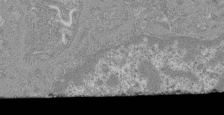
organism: Mouse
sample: Glomerulus